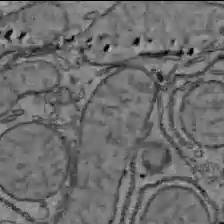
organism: C57BL Mouse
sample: Liver